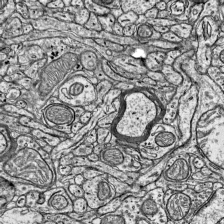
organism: Mouse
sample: Visual Cortex